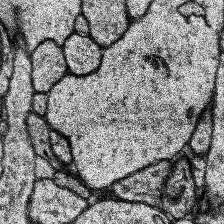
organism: Human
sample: Temporal Lobe